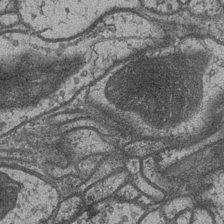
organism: Drosophila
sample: Optic medulla